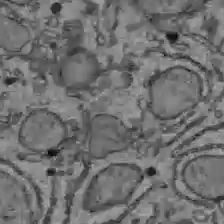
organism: C57BL Mouse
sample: Liver